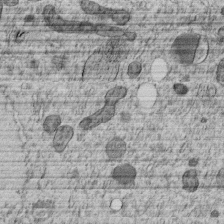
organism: C. elegans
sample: C. elegans embryo early stage